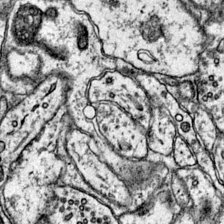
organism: Mouse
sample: Primary visual cortex